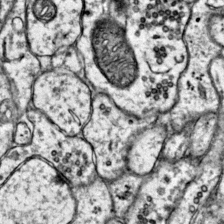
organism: Mouse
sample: Primary visual cortex